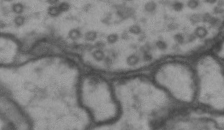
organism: Drosophila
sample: Brain